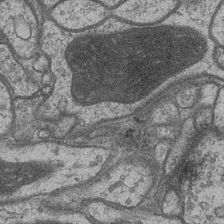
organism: Drosophila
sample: Optic medulla